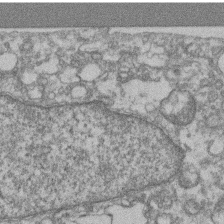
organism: Mouse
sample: T cell stromal cell synapse